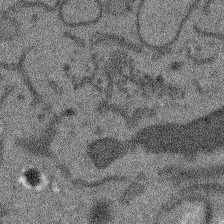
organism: Arabidopsis thaliana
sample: Root tip